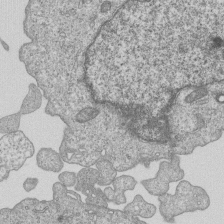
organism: Human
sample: MDA-MB-231 cells